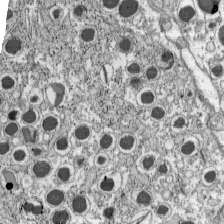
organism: C57BL Mouse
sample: Pancreatic islet